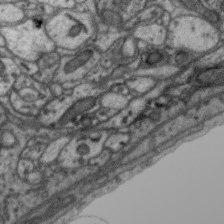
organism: Zebra finch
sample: Brain